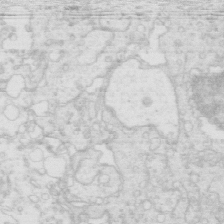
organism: Mouse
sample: Multiciliated cells